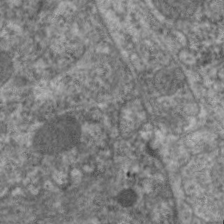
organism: C. elegans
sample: Pharynx